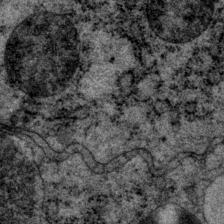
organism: P. pacificus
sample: Pharynx